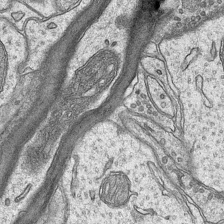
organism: Mouse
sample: CA1 Hippocampus